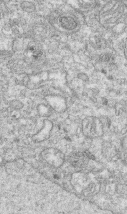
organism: Human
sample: HeLa cell HIV synapse